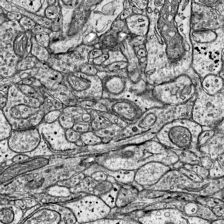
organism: Mouse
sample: Visual Cortex